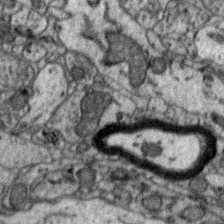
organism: Zebra finch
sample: Brain